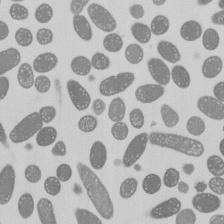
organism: E. coli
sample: Bacterial nucleoid